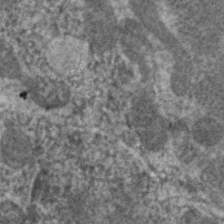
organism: C. elegans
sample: Pharynx